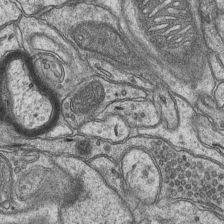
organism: Mouse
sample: CA1 Hippocampus